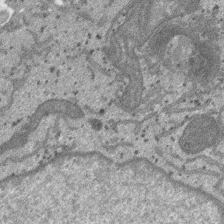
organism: Human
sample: Lung epithelial cells infected with SARS-CoV-2